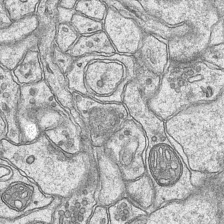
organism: Mouse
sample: CA1 Hippocampus